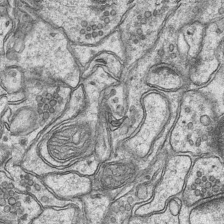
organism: Mouse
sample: CA1 Hippocampus